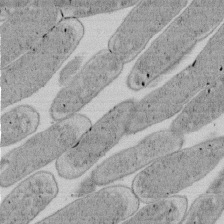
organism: E. coli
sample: Bacterial nucleoid